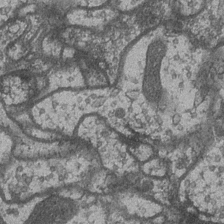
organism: Drosophila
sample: Optic medulla